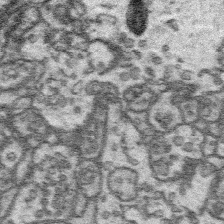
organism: Platynereis dumerilii